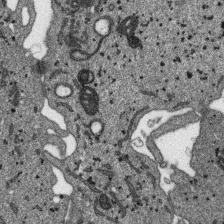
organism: Human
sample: Lung epithelial cells infected with SARS-CoV-2